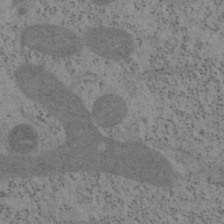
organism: Mouse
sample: OT-I killer T cells with ID8 ovarian cancer cells